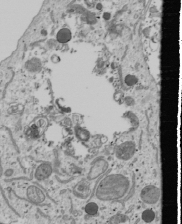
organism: Human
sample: Mitochondria in U2OS cells